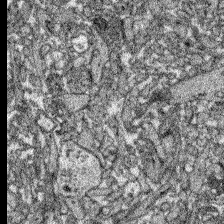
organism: Zebrafish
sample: Larval olfactory bulb